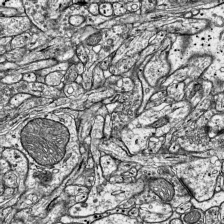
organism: Mouse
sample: Visual Cortex